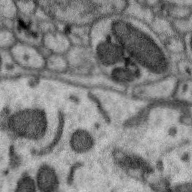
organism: Zebra finch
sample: Brain